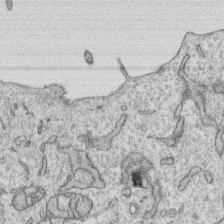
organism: Human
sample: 1205lu cells